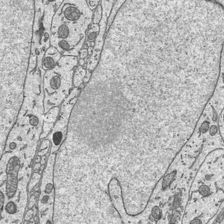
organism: Mouse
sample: Suprachiasmatic nucleus